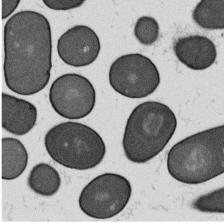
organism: B. subtilis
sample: Bacterial spore